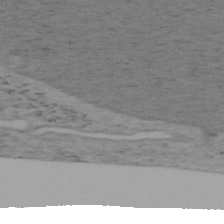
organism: Mouse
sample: OT-I killer T cells with ID8 ovarian cancer cells